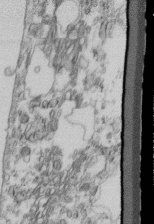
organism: Mouse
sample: Cilia; retinal pigment epithelium